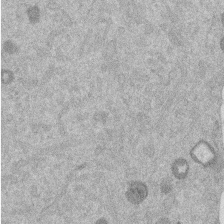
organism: Mouse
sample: Dividing mouse embryo 1 cell stage